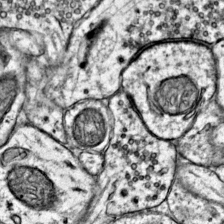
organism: Mouse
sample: Primary visual cortex